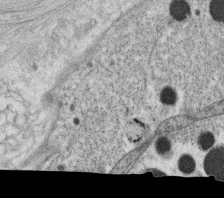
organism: C. elegans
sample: C. elegans oocyte; sperm cells